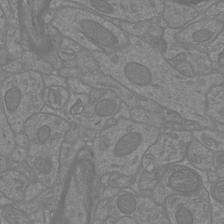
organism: Mouse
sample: Cortical neurons